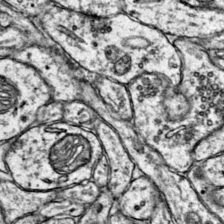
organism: Mouse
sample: Primary visual cortex